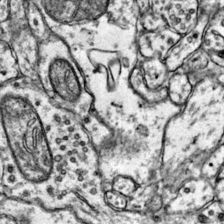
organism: Mouse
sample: Primary visual cortex